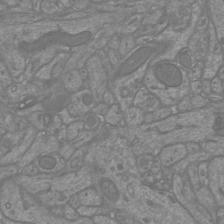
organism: Mouse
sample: Cortical neurons